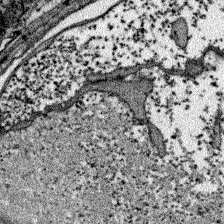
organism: Zebrafish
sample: Larval olfactory bulb